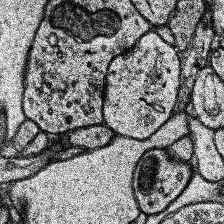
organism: Human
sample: Temporal Lobe